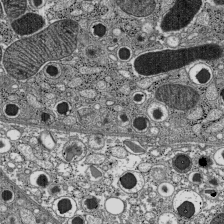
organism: C57BL Mouse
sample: Pancreatic islet